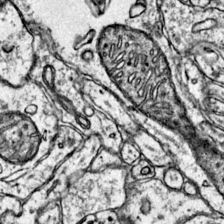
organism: Mouse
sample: Primary visual cortex